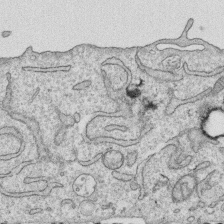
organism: Human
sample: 1205lu cells